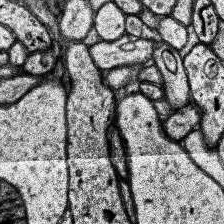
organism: Human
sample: Temporal Lobe